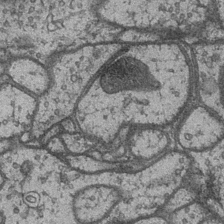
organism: Drosophila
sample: Optic medulla